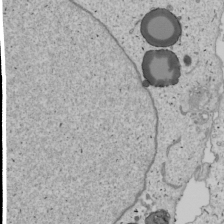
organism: Human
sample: Mitochondria in U2OS cells